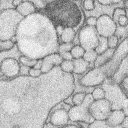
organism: Rabbit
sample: Retina